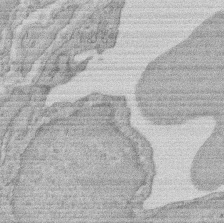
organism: Rat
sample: Salivary granule